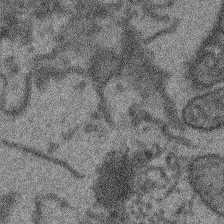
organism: Arabidopsis thaliana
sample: Root tip